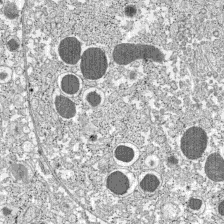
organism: C57BL Mouse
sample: Pancreatic islet